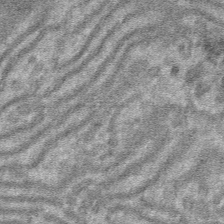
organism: Mouse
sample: Mouse hepatocytes